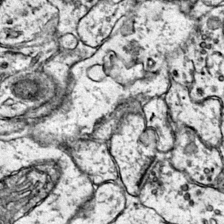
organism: Mouse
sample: Primary visual cortex